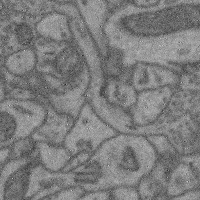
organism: Mouse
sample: Cerebral cortex